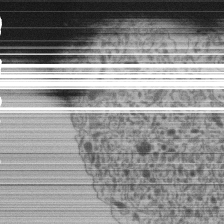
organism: Human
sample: Retinal organoid Rod and Cone cells